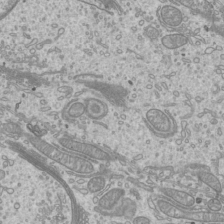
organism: Mouse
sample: Cilia; mouse epididymis